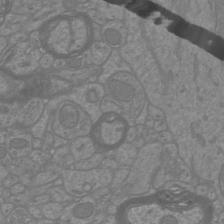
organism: Mouse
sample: Cortical neurons